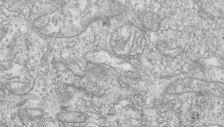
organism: Human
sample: HeLa cell HIV synapse